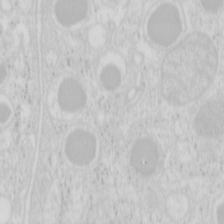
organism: Mouse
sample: Pancreas